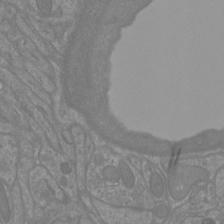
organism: Mouse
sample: Cortical neurons